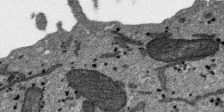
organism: Human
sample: Lung epithelial cells, uninfected (mock) control